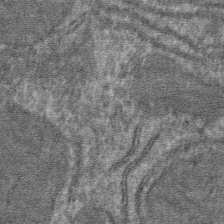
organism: Mouse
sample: Mouse hepatocytes